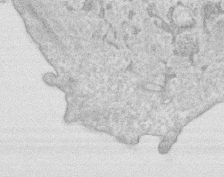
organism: Human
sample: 1205lu cells